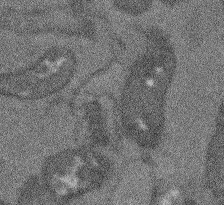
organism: Arabidopsis thaliana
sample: Root tip